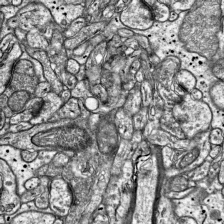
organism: Mouse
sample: Visual Cortex